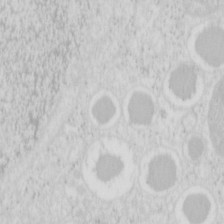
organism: Mouse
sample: Pancreas